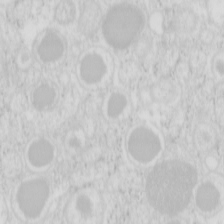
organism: Mouse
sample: Pancreas